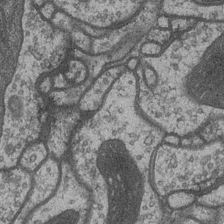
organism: Drosophila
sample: Optic medulla